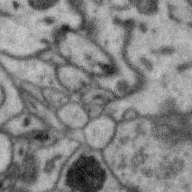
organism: Zebra finch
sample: Brain